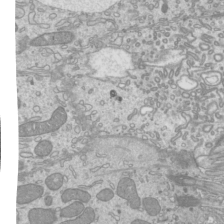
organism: Mouse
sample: Cilia; mouse epididymis